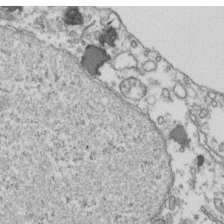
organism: Human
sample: Activated Jurkat CD4+ T cells